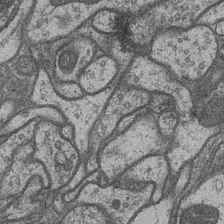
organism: Drosophila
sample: Optic medulla